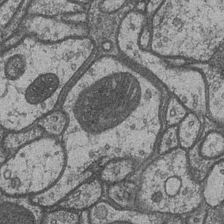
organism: Drosophila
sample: Optic medulla